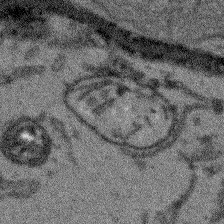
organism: Arabidopsis thaliana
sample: Root tip